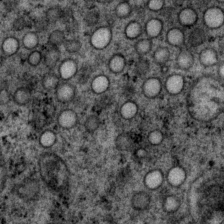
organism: P. pacificus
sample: Pharynx